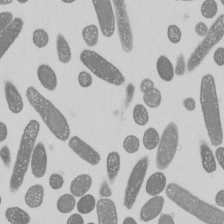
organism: E. coli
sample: Bacterial nucleoid